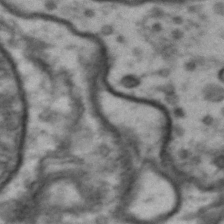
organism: Drosophila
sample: Brain